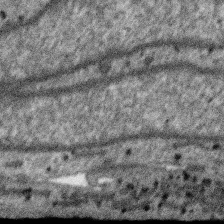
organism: Human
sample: Lung epithelial cells infected with SARS-CoV-2